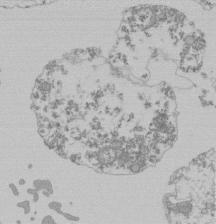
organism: Mouse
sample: Activated Pmel transgenic CD8+ T Cells